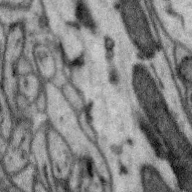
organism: Zebra finch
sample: Brain